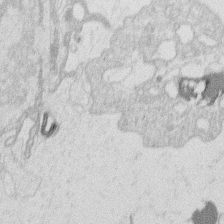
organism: Human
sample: Macrophage cells